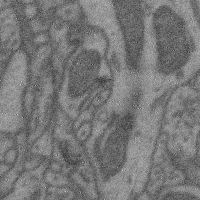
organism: Mouse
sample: Cerebral cortex